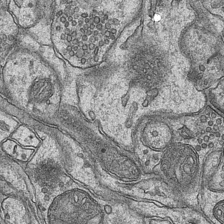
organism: Mouse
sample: CA1 Hippocampus